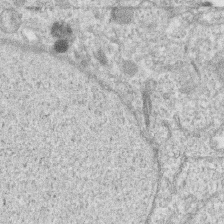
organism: Human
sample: HeLa cell HIV synapse